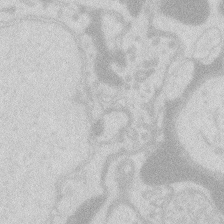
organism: Zebrafish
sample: Macrophage